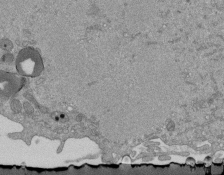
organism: Mouse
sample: ED-1 cell nuclei; centrioles